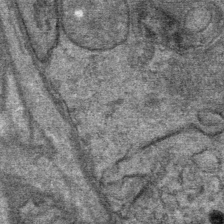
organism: Mouse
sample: Mouse Salivary gland